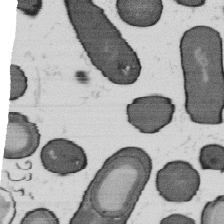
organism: B. subtilis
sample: Bacterial spore